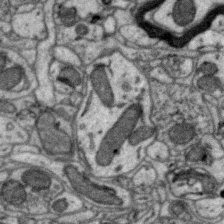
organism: Zebra finch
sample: Brain